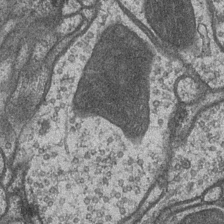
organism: Drosophila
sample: Optic medulla